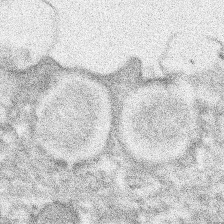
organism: Xenopus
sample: Cilia; centrioles in frog embryo cells